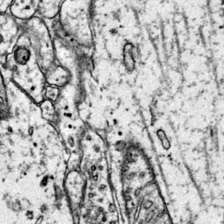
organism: Mouse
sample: Primary visual cortex